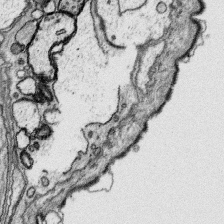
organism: Platynereis dumerilii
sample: Parapodia